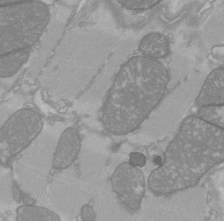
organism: C57BL Mouse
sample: Heart